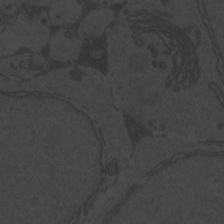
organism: Zebrafish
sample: Macrophage infected with Toxoplasma gondii